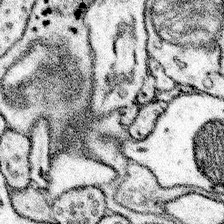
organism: Mouse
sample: Somatosensory cortex neuropil